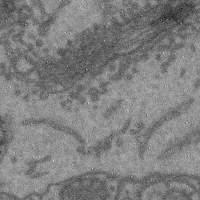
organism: Mouse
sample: Cerebral cortex